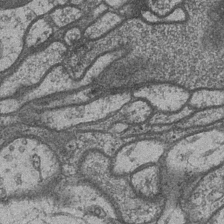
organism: Drosophila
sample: Optic medulla